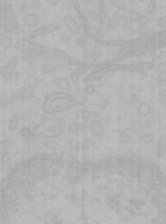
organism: Mouse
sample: Choroid plexus